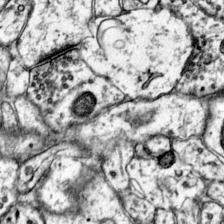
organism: Mouse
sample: Primary visual cortex